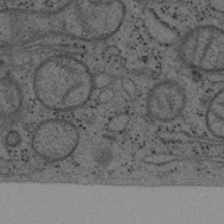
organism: Human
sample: HeLa cells